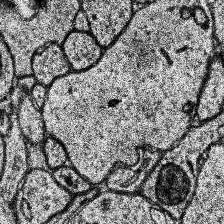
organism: Human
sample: Temporal Lobe